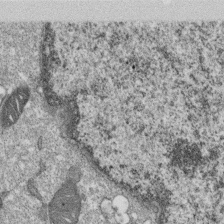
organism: African green monkey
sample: Vero E6 cells infected with SARS-CoV-2